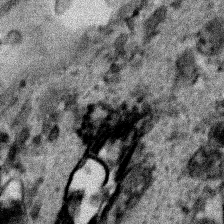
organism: Human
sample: Mitochondria in HCT116 cells